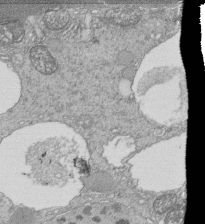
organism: Tetrahymena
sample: Cilia in tetrahymena